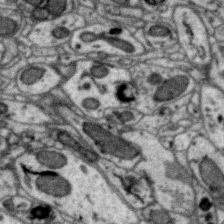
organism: Zebra finch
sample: Brain